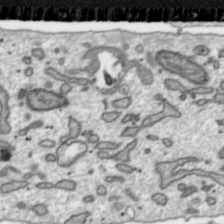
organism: Toxoplasma gondii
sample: Parasites in a vacuole inside a host cell